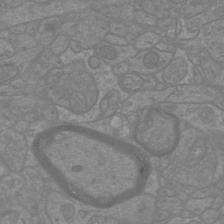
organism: Mouse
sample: Cortical neurons